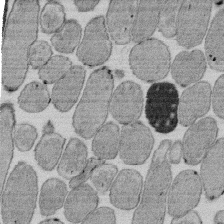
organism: E. coli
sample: Bacterial nucleoid